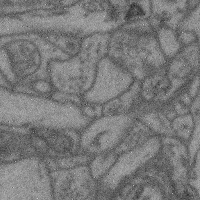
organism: Mouse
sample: Cerebral cortex